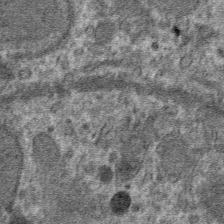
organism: Mouse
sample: Mouse hepatocytes